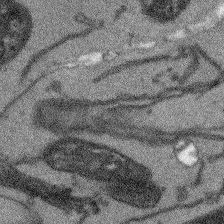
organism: Arabidopsis thaliana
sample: Root tip